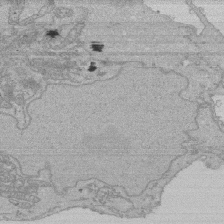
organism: Human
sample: Activated Jurkat CD4+ T cells